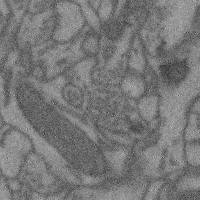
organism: Mouse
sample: Cerebral cortex